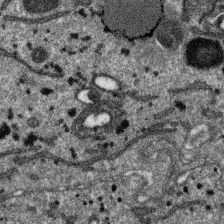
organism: Human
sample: Lung epithelial cells infected with SARS-CoV-2